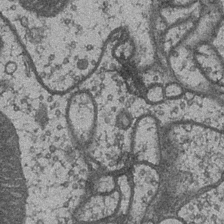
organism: Drosophila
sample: Optic medulla